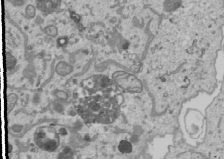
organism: Human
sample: Mitochondria in U2OS cells